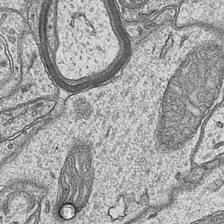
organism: Mouse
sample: CA1 Hippocampus